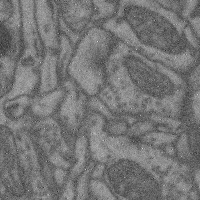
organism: Mouse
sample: Cerebral cortex